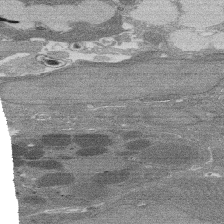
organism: Rat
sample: Salivary granule